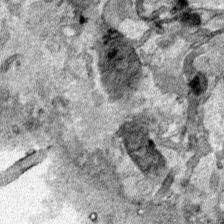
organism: Human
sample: Mitochondria in HCT116 cells